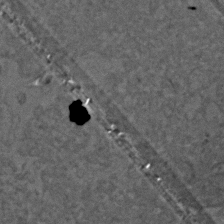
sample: Trachea